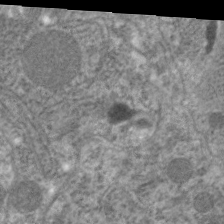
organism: C. elegans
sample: Pharynx